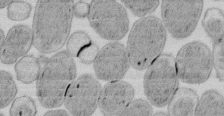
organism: E. coli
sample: Bacterial nucleoid